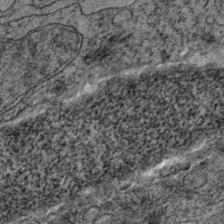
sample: Trachea